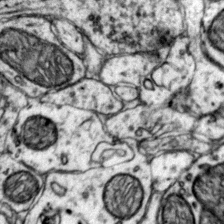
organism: Mouse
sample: Primary visual cortex